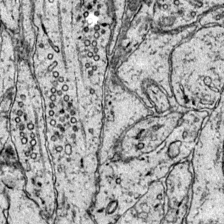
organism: Mouse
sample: Primary visual cortex